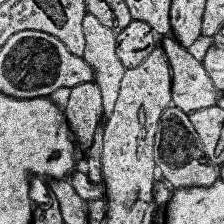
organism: Human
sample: Temporal Lobe